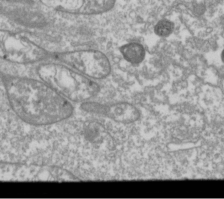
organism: Drosophila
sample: Cell division; meiosis; drosophila spermatocytes